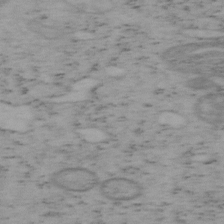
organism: Mouse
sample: OT-I killer T cells with ID8 ovarian cancer cells